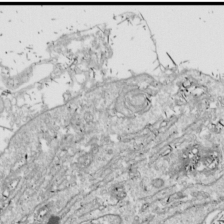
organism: Drosophila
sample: Cell division; meiosis; drosophila spermatocytes